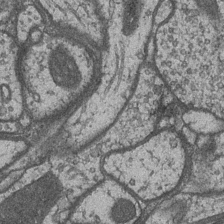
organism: Drosophila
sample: Optic medulla